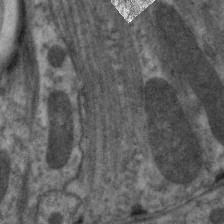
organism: C. elegans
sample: Pharynx